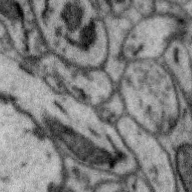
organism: Zebra finch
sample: Brain